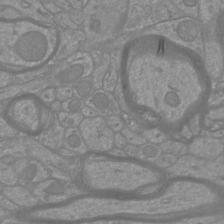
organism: Mouse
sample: Cortical neurons